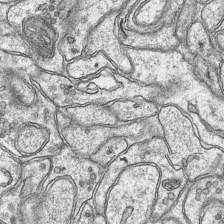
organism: Mouse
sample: CA1 Hippocampus